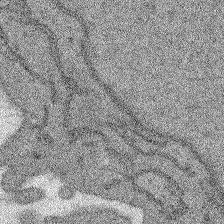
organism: Human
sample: HeLa cells